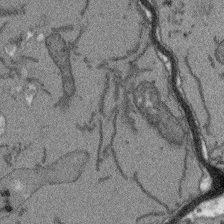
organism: Arabidopsis thaliana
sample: Root tip